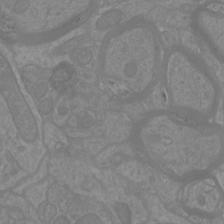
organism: Mouse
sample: Cortical neurons